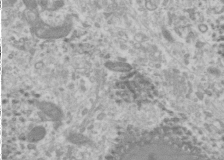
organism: Human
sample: Cilia; basal body in RPE cells